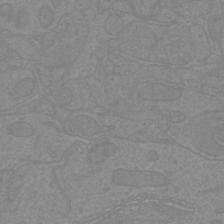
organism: Mouse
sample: Cortical neurons